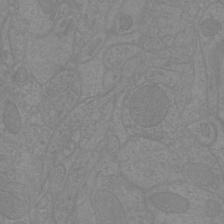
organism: Mouse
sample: Cortical neurons